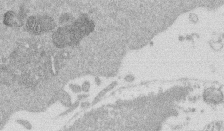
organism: Mouse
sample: Dividing mouse embryo 1 cell stage